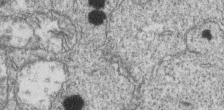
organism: Human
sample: HeLa cell HIV synapse